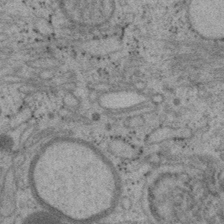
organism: Human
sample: HeLa cells